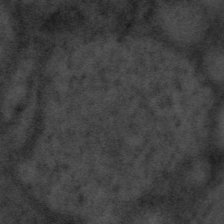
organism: Tuwongella immobilis